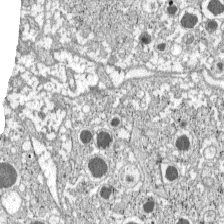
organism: C57BL Mouse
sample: Pancreatic islet